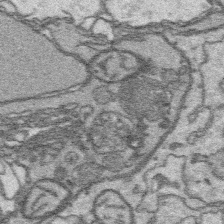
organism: Platynereis dumerilii